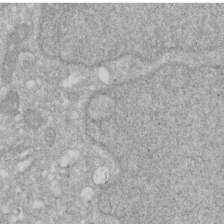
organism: Human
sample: HIV infected U937 cells